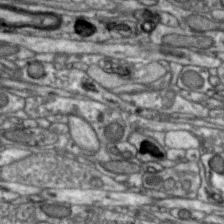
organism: Zebra finch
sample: Brain